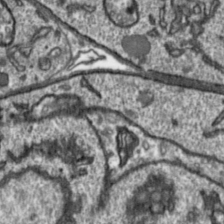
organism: Toxoplasma gondii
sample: Parasites in a vacuole inside a host cell